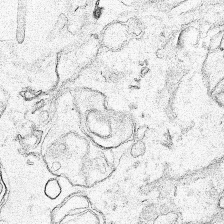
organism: Human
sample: Mitochondria in HCT116 cells